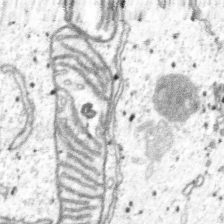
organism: Human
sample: HeLa cells